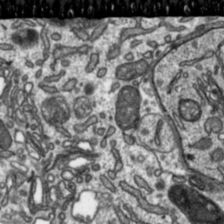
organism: Toxoplasma gondii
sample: Parasites in a vacuole inside a host cell